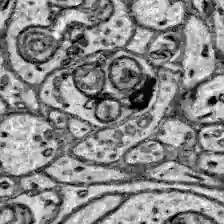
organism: Zebrafish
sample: Brain